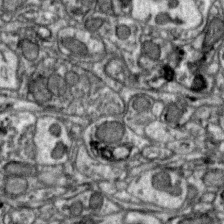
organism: Zebra finch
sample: Brain